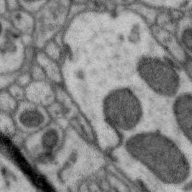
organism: Zebra finch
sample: Brain